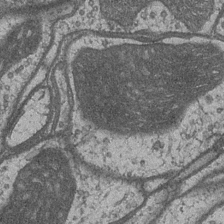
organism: Drosophila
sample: Optic medulla